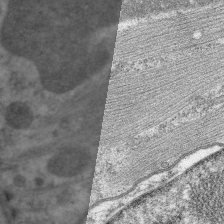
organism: C. elegans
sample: Pharynx